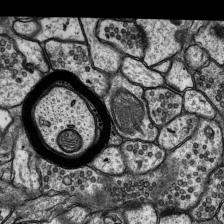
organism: Rat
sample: Hippocampus